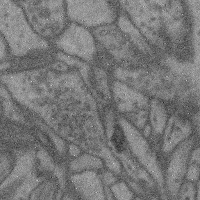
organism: Mouse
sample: Cerebral cortex